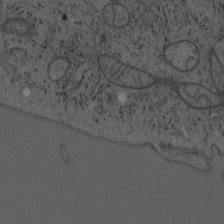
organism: Mouse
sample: OT-I killer T cells with ID8 ovarian cancer cells